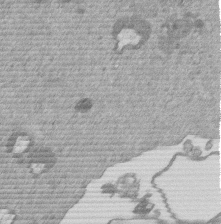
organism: Mouse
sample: Dividing mouse embryo 1 cell stage